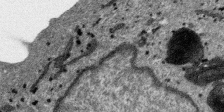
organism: Human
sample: Lung epithelial cells, uninfected (mock) control